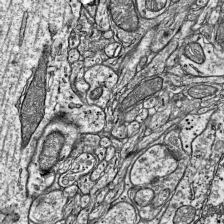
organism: Mouse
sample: Visual Cortex